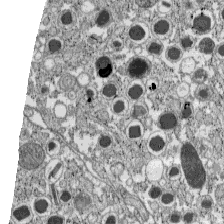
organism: C57BL Mouse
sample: Pancreatic islet